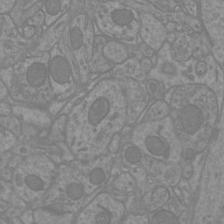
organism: Mouse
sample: Cortical neurons